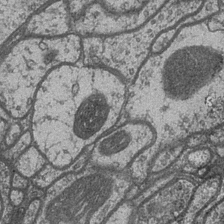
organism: Drosophila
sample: Optic medulla